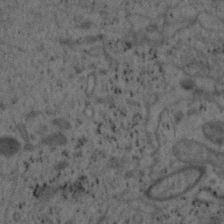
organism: Human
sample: HeLa cells